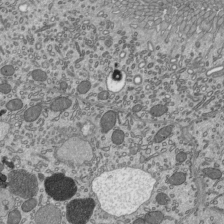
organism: Mouse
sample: Mouse epididymis efferent ductule cilia